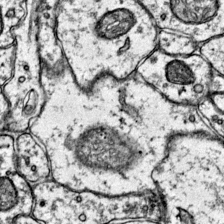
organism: Mouse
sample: Primary visual cortex